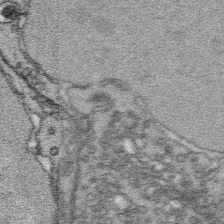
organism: Platynereis dumerilii